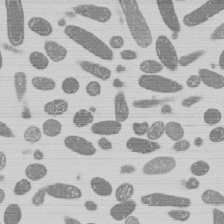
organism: E. coli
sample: Bacterial nucleoid